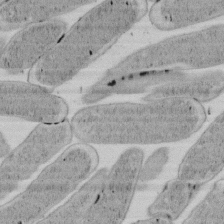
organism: E. coli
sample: Bacterial nucleoid